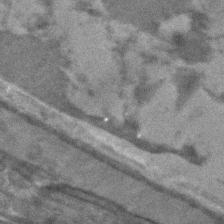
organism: C. elegans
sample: C. elegans embryo